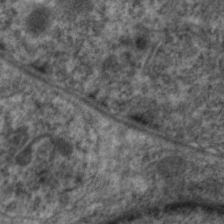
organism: C. elegans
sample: Pharynx